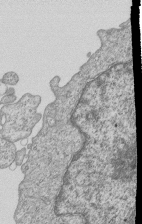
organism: Human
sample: MDA-MB-231 cells